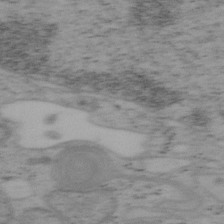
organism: Mouse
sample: OT-I killer T cells with ID8 ovarian cancer cells